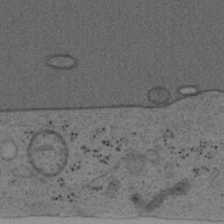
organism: Human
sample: HeLa cells